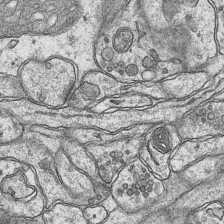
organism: Mouse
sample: CA1 Hippocampus